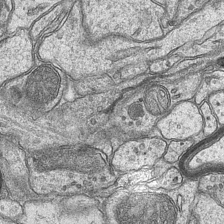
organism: Mouse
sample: CA1 Hippocampus